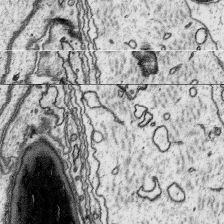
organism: Platynereis dumerilii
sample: Parapodia